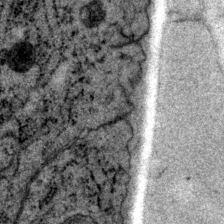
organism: P. pacificus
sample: Pharynx